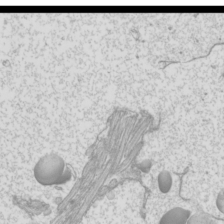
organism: Mouse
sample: Cilia; mouse epididymis